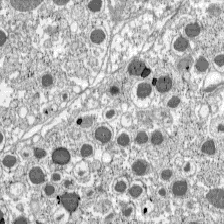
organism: C57BL Mouse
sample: Pancreatic islet